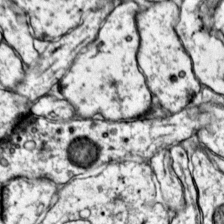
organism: Mouse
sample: Primary visual cortex